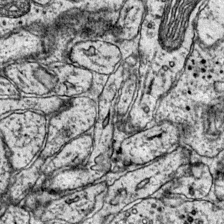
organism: Mouse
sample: Primary visual cortex